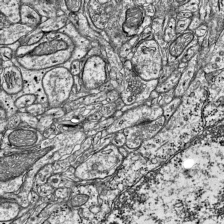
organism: Mouse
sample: Visual Cortex